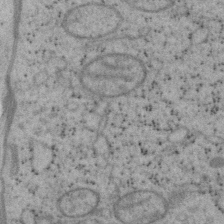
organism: Human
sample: HeLa cells